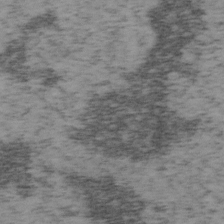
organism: Mouse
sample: OT-I killer T cells with ID8 ovarian cancer cells